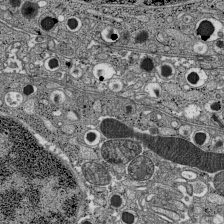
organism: C57BL Mouse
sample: Pancreatic islet